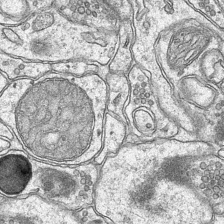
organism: Mouse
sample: CA1 Hippocampus